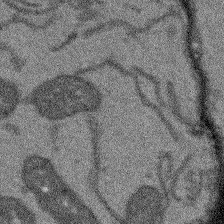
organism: Arabidopsis thaliana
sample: Root tip